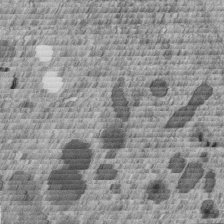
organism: C. elegans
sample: C. elegans embryo early stage